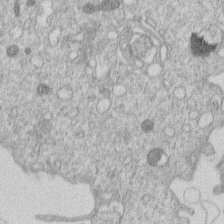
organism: Human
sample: Macrophage cells